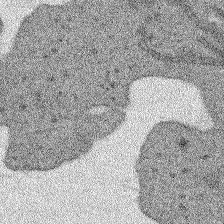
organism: Human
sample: HeLa cells